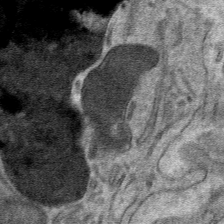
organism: Mouse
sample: Mouse hepatocytes